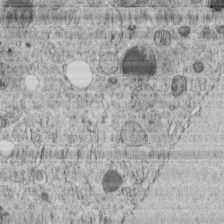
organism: C. elegans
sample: C. elegans embryo early stage